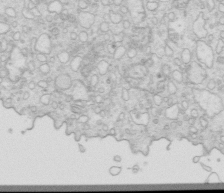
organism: Mouse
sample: Multiciliated cells